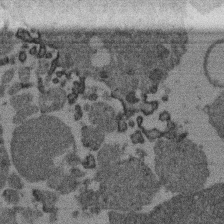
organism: Mouse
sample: Dividing mouse embryo 1 cell stage